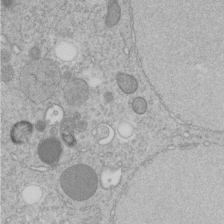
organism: C. elegans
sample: C. elegans embryo early stage